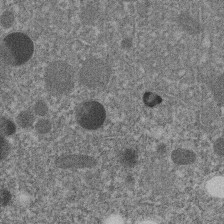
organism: C. elegans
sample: C. elegans embryo early stage